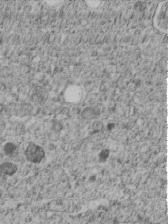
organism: C. elegans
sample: C. elegans embryo early stage